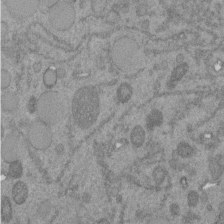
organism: C. elegans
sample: C. elegans embryo early stage